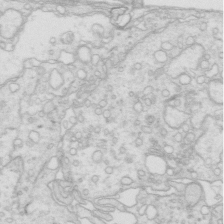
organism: Mouse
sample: Multiciliated cells